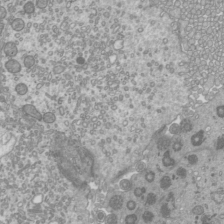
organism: Mouse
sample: Cilia; mouse epididymis